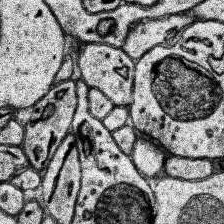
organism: Human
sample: Temporal Lobe